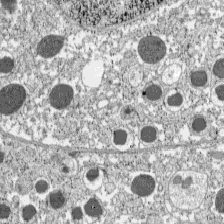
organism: C57BL Mouse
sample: Pancreatic islet